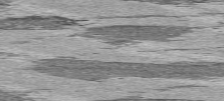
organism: C57BL Mouse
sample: Heart